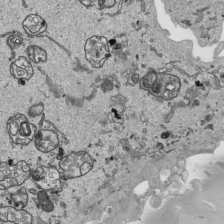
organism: Human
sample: Mitochondria in HCT116 cells